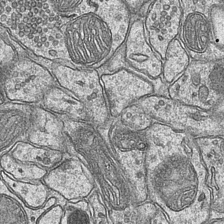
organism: Mouse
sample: CA1 Hippocampus